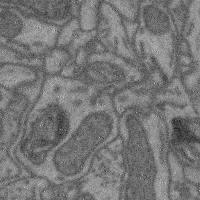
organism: Mouse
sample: Cerebral cortex